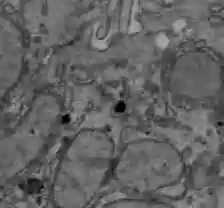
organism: C57BL Mouse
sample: Liver